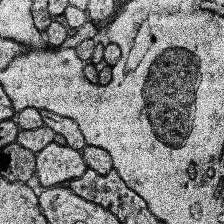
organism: Human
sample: Temporal Lobe